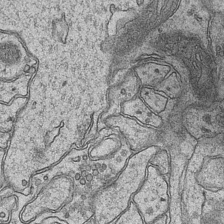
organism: Mouse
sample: CA1 Hippocampus